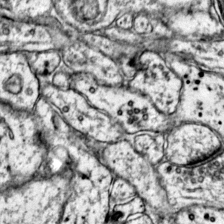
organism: Mouse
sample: Primary visual cortex